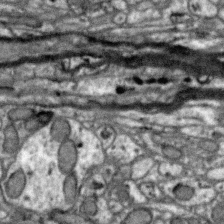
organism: Zebra finch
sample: Brain